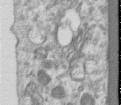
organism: Human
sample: Centriole in RPE cells